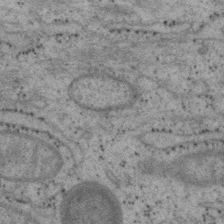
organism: Human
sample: HeLa cells